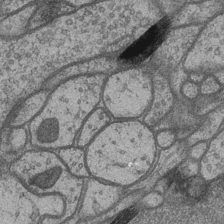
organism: Drosophila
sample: Optic medulla